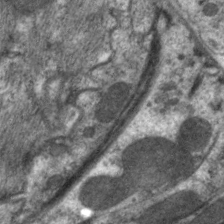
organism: C. elegans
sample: Pharynx